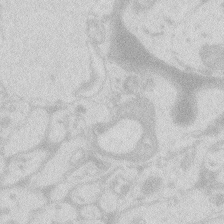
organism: Zebrafish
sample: Macrophage